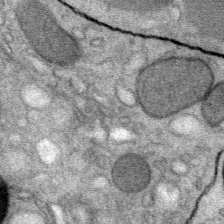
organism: Mouse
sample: Mouse Salivary gland